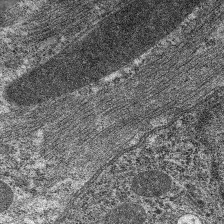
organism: C. elegans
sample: Pharynx